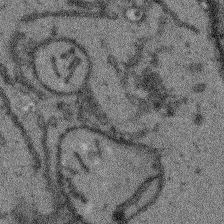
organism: Arabidopsis thaliana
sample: Root tip